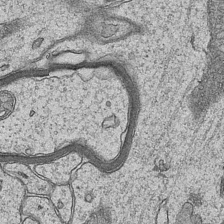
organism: Mouse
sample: CA1 Hippocampus